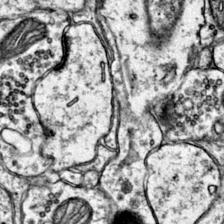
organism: Mouse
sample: Primary visual cortex